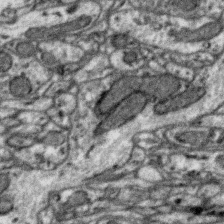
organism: Zebra finch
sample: Brain